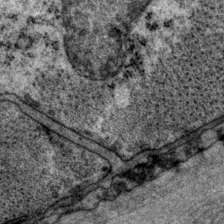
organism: P. pacificus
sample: Pharynx